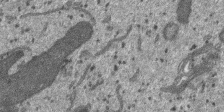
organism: Human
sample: Lung epithelial cells infected with SARS-CoV-2